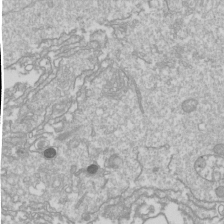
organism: Drosophila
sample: Cell division; meiosis; drosophila spermatocytes